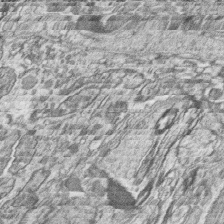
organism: Zebrafish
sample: synaptic ribbons in rod cells and cone cells